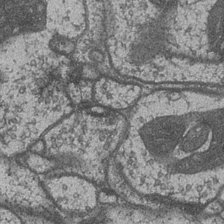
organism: Drosophila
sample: Optic medulla